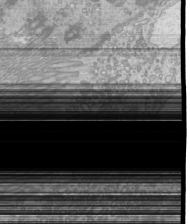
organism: Mouse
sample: Cilia; mouse epididymis